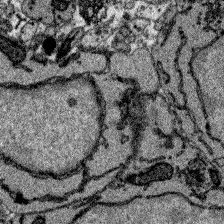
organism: Zebrafish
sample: Larval olfactory bulb